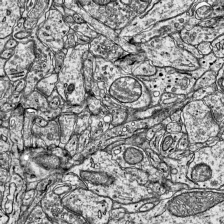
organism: Mouse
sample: Visual Cortex